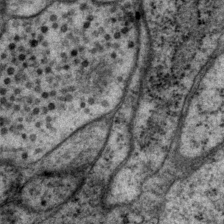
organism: P. pacificus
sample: Pharynx